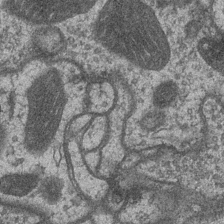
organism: Drosophila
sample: Optic medulla